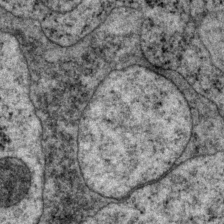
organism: P. pacificus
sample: Pharynx